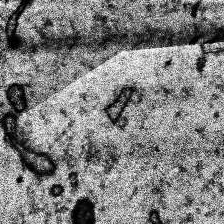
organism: Human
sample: Temporal Lobe